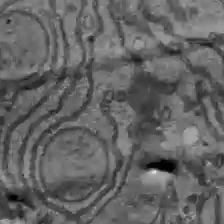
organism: C57BL Mouse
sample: Liver